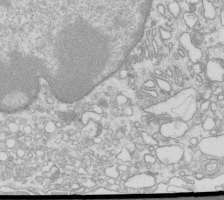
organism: Mouse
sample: Macrophages